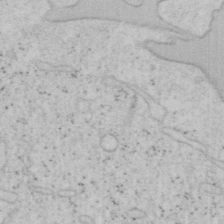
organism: Human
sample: HeLa cells